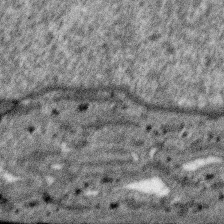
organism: Human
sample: Lung epithelial cells infected with SARS-CoV-2